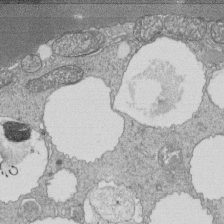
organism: Tetrahymena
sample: Cilia in tetrahymena